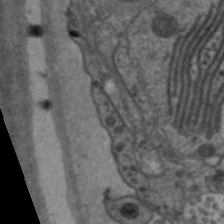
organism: C. elegans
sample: Pharynx